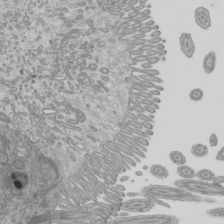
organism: Mouse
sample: Cilia; mouse epididymis